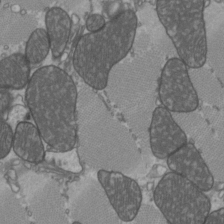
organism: C57BL Mouse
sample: Heart